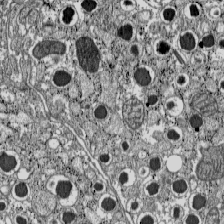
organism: C57BL Mouse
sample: Pancreatic islet